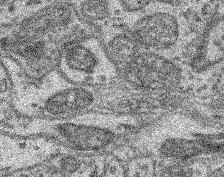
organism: Mouse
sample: Retina